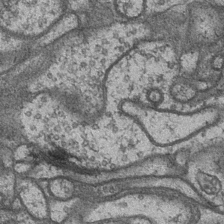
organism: Drosophila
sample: Optic medulla